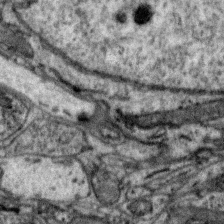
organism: Zebra finch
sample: Brain